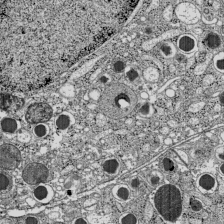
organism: C57BL Mouse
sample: Pancreatic islet